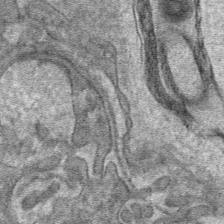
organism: Mouse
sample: Mouse hepatocytes